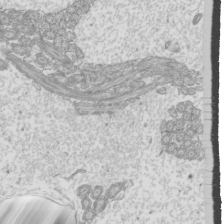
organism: Mouse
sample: Cilia; mouse epididymis